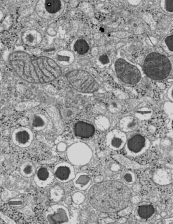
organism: C57BL Mouse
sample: Pancreatic islet